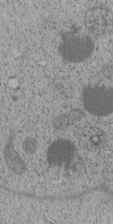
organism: C. elegans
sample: C. elegans embryo early stage